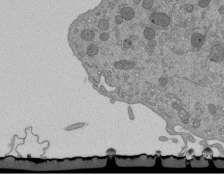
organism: Mouse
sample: ED-1 cell nuclei; centrioles